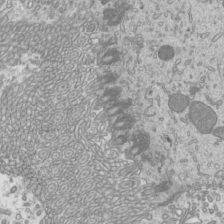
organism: Mouse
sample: Cilia; mouse epididymis